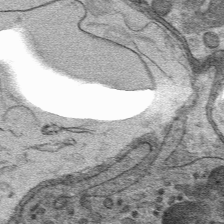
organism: Mouse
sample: Mouse hepatocytes